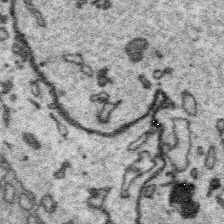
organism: Platynereis dumerilii